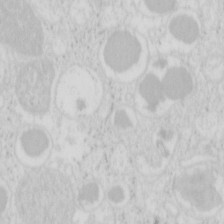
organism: Mouse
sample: Pancreas